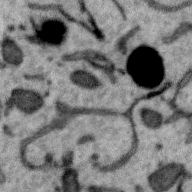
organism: Zebra finch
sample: Brain